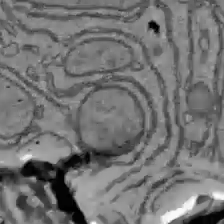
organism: C57BL Mouse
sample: Liver